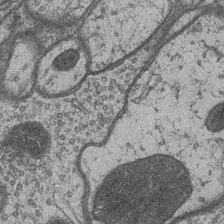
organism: Drosophila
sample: Optic medulla